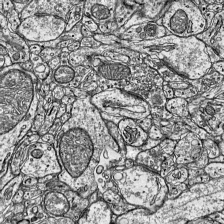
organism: Mouse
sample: Visual Cortex